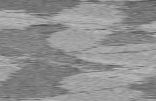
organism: C57BL Mouse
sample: Heart